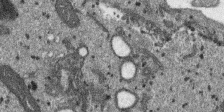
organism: Human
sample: Lung epithelial cells infected with SARS-CoV-2